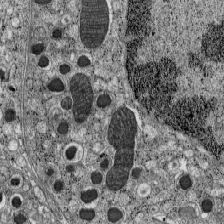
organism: C57BL Mouse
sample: Pancreatic islet